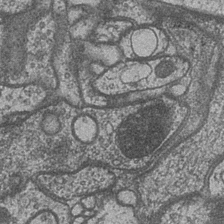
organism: Drosophila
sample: Optic medulla